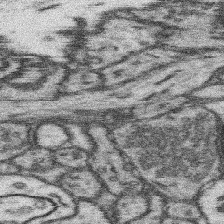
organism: Mouse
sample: Somatosensory cortex neuropil